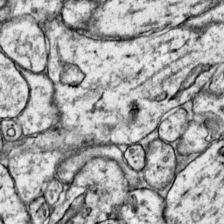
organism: Mouse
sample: Primary visual cortex